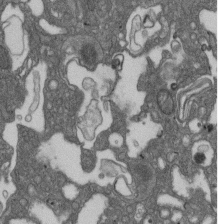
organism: Drosophila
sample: Nephrocyte